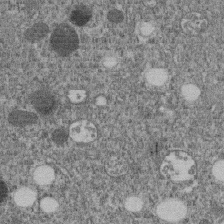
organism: C. elegans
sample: C. elegans embryo early stage